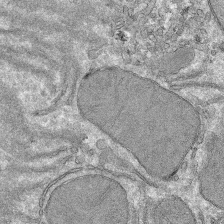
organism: Mouse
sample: Mouse hepatocytes